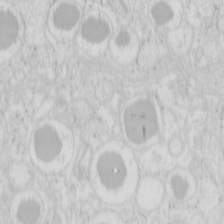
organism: Mouse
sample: Pancreas